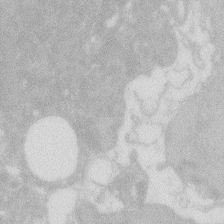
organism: Zebrafish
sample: Macrophage